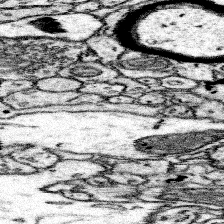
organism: Mouse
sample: Somatosensory cortex neuropil